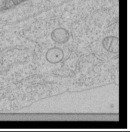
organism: Human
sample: Mitochondria in HCT116 cells